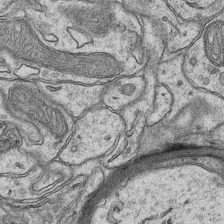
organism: Mouse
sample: CA1 Hippocampus